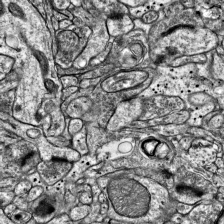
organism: Mouse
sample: Visual Cortex